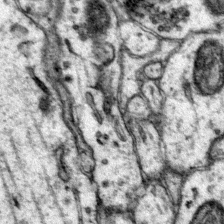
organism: Mouse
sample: Primary visual cortex